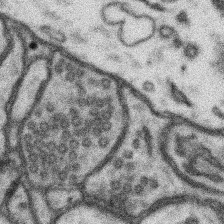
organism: Mouse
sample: Somatosensory cortex neuropil